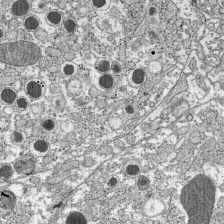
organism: C57BL Mouse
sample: Pancreatic islet